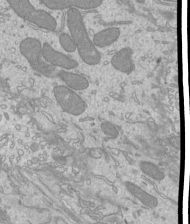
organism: Mouse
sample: Cilia; mouse epididymis